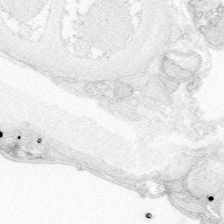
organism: Zebrafish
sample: Whole-Brain